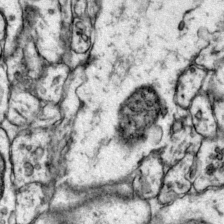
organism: Mouse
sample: Primary visual cortex